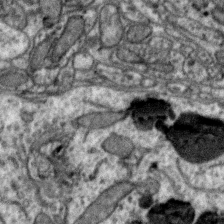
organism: Zebra finch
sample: Brain